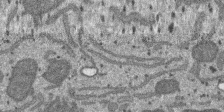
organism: Human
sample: Lung epithelial cells infected with SARS-CoV-2